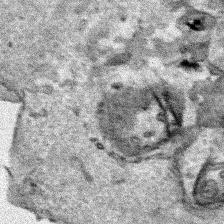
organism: Human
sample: Mitochondria in HCT116 cells